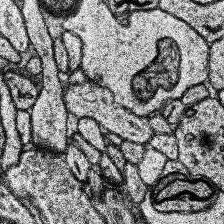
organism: Human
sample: Temporal Lobe